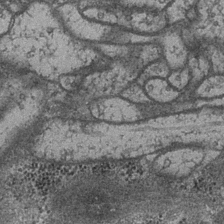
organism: Drosophila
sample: Optic medulla